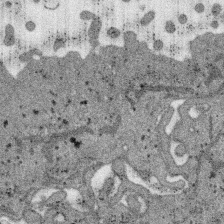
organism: Human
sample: Lung epithelial cells, uninfected (mock) control